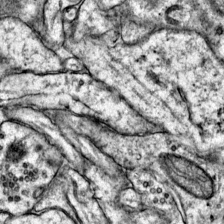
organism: Mouse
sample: Primary visual cortex